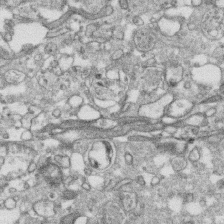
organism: Human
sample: CRL-1474